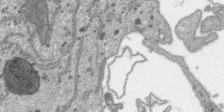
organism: Human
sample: Lung epithelial cells infected with SARS-CoV-2